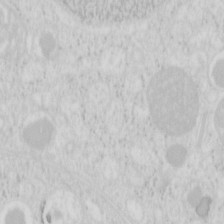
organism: Mouse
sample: Pancreas